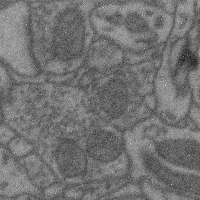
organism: Mouse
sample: Cerebral cortex